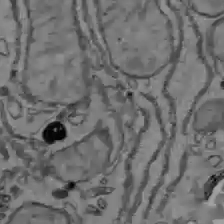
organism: C57BL Mouse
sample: Liver